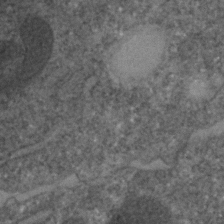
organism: C. elegans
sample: C. elegans embryo